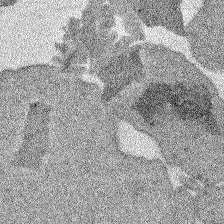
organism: Human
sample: HeLa cells